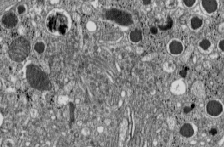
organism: C57BL Mouse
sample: Pancreatic islet